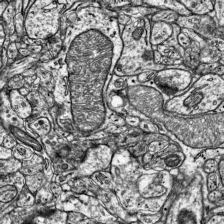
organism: Mouse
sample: Visual Cortex